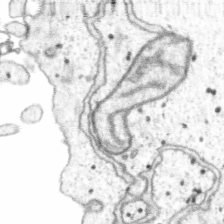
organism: Human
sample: HeLa cells